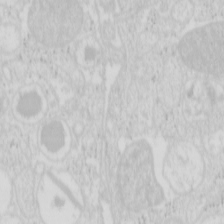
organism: Mouse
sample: Pancreas